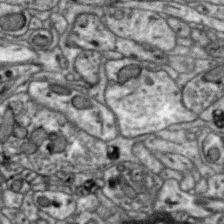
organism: Zebra finch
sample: Brain